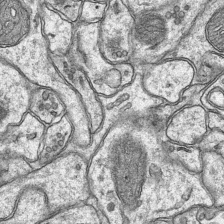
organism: Mouse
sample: CA1 Hippocampus